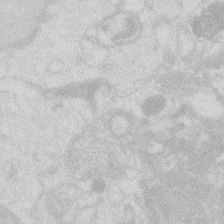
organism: Zebrafish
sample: Macrophage